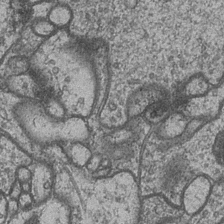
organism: Drosophila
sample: Optic medulla